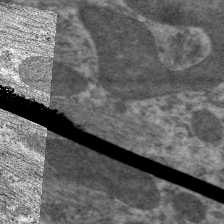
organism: C. elegans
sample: Pharynx